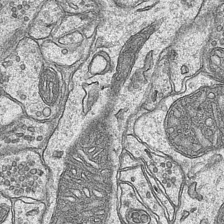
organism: Mouse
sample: CA1 Hippocampus